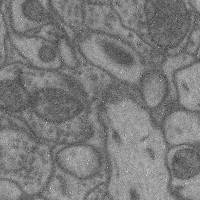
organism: Mouse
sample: Cerebral cortex